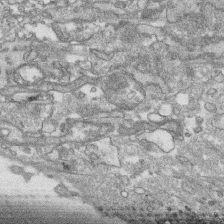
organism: Human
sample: CRL-1474